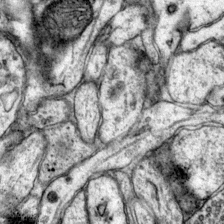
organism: Mouse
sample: Primary visual cortex